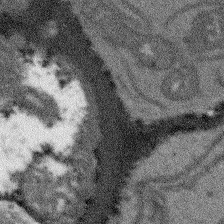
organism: Arabidopsis thaliana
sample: Root tip